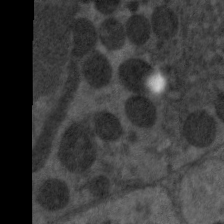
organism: C. elegans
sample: Pharynx